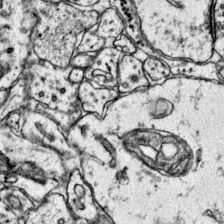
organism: Mouse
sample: Primary visual cortex